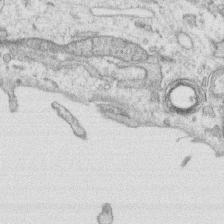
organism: Human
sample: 1205lu cells